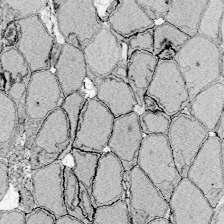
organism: Zebrafish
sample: Whole-Brain